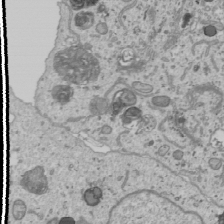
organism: Human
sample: Mitochondria in U2OS cells